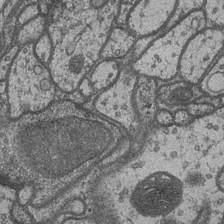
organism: Drosophila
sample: Optic medulla